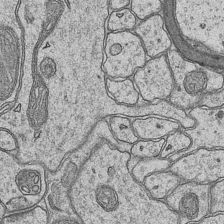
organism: Mouse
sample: CA1 Hippocampus